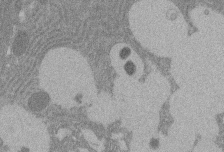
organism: Rat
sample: Salivary granule